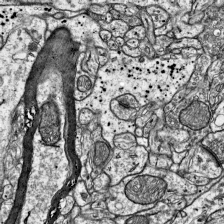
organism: Mouse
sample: Visual Cortex